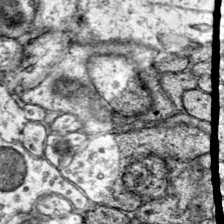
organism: Mouse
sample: Primary visual cortex